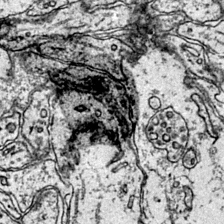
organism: Mouse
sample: Primary visual cortex